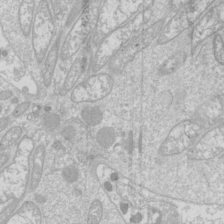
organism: Drosophila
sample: Cell division; meiosis; drosophila spermatocytes